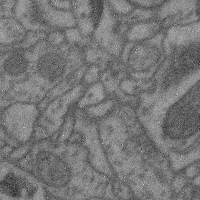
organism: Mouse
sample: Cerebral cortex